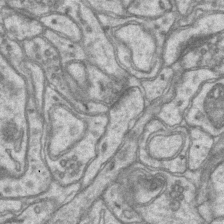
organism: Mouse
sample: CA1 Hippocampus